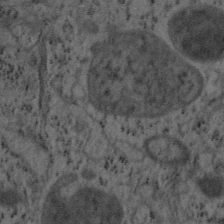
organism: Human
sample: HeLa cells